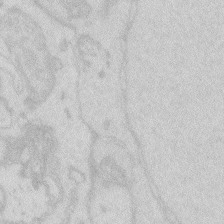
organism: Zebrafish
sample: Macrophage